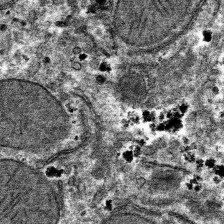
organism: Mouse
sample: Mouse hepatocytes